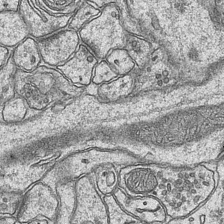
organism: Mouse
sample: CA1 Hippocampus